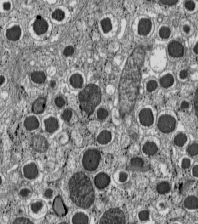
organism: C57BL Mouse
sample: Pancreatic islet